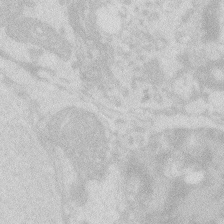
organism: Zebrafish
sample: Macrophage